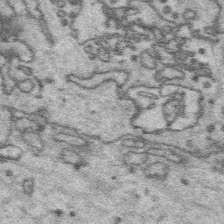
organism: Platynereis dumerilii